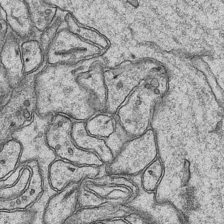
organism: Mouse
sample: CA1 Hippocampus